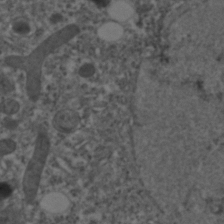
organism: C. elegans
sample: C. elegans embryo